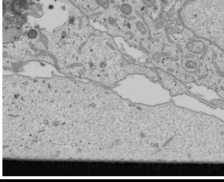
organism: Human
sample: Mitochondria in U2OS cells